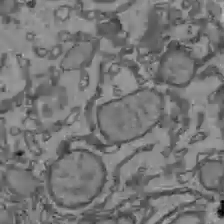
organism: C57BL Mouse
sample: Liver